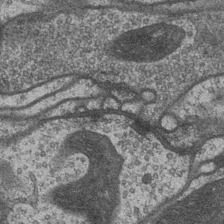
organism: Drosophila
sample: Optic medulla